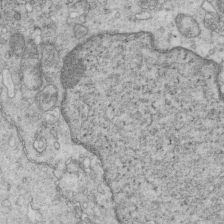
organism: Mouse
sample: Multiciliated cells